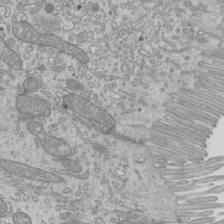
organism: Mouse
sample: Cilia; mouse epididymis